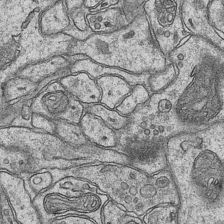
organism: Mouse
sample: CA1 Hippocampus